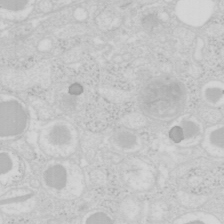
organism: Mouse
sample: Pancreas